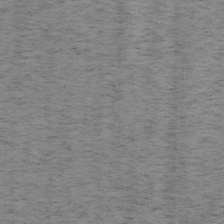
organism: Mouse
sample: OT-I killer T cells with ID8 ovarian cancer cells